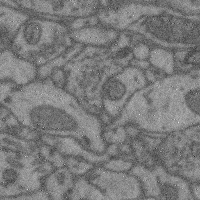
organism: Mouse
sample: Cerebral cortex